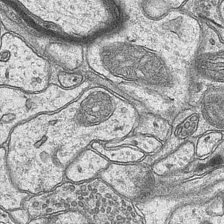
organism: Mouse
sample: CA1 Hippocampus